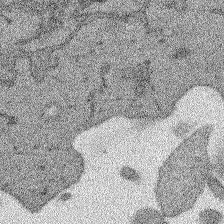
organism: Human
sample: HeLa cells